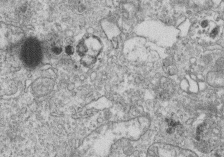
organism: Human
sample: HeLa cell HIV synapse